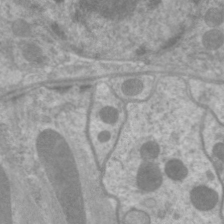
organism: C. elegans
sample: Pharynx